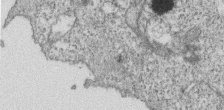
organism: Human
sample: HeLa cell HIV synapse